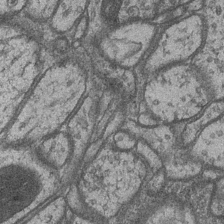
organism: Drosophila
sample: Optic medulla